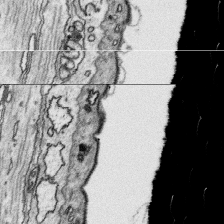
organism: Platynereis dumerilii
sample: Parapodia